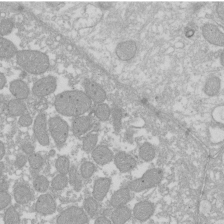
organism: Xenopus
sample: Cilia; centrioles in frog embryo cells